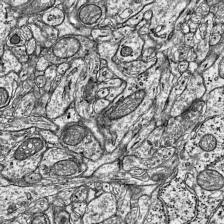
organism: Mouse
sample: Visual Cortex